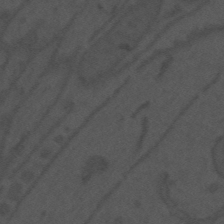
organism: Mouse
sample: Suprachiasmatic nucleus